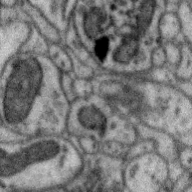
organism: Zebra finch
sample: Brain